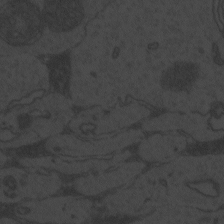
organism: Zebrafish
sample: Macrophage infected with Toxoplasma gondii